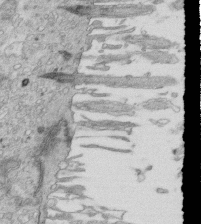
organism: Mouse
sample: Multiciliated cells